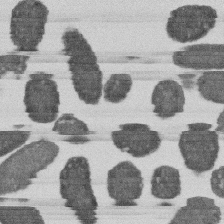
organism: E. coli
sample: Bacterial nucleoid